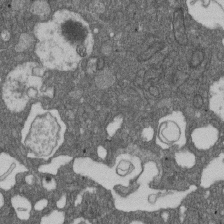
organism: Drosophila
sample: Nephrocyte